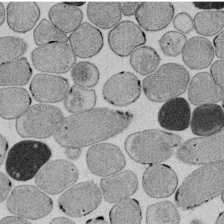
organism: E. coli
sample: Bacterial nucleoid